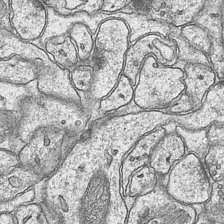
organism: Mouse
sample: CA1 Hippocampus